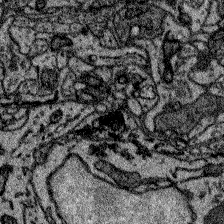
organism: Zebrafish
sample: Larval olfactory bulb